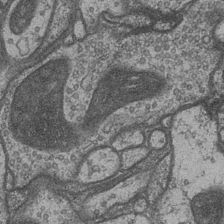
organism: Drosophila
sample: Optic medulla